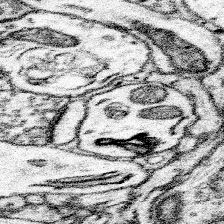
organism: Mouse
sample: Somatosensory cortex neuropil